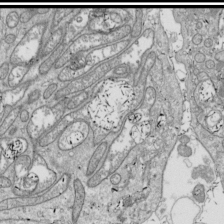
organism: Drosophila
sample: Cell division; meiosis; drosophila spermatocytes